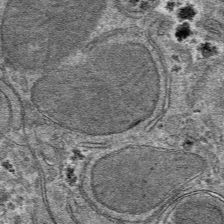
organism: Mouse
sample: Mouse hepatocytes